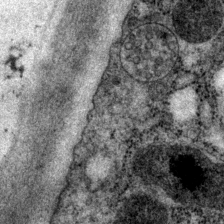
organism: P. pacificus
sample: Pharynx